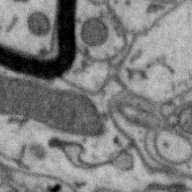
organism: Zebra finch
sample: Brain